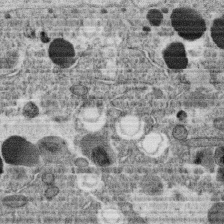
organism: C. elegans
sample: C. elegans oocyte; sperm cells